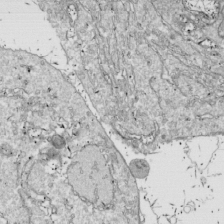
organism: Drosophila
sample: Cell division; meiosis; drosophila spermatocytes